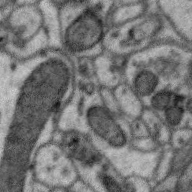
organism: Zebra finch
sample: Brain